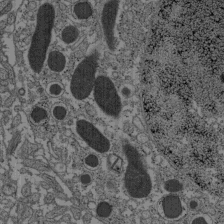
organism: C57BL Mouse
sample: Pancreatic islet